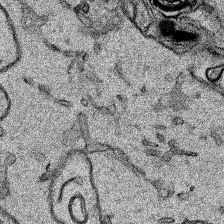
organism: Human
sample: Mitochondria in HCT116 cells